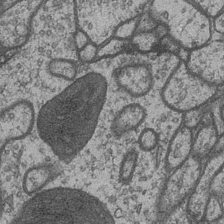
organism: Drosophila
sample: Optic medulla